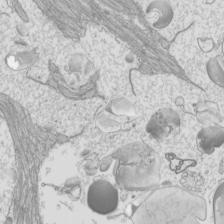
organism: Mouse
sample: Cilia; mouse epididymis